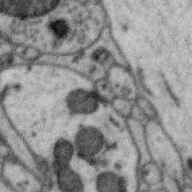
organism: Zebra finch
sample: Brain